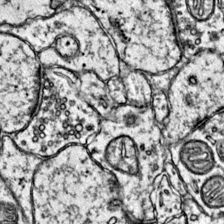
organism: Mouse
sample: Primary visual cortex